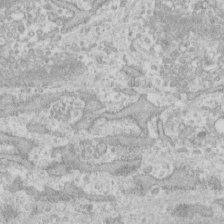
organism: Human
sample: Fibroblast cells